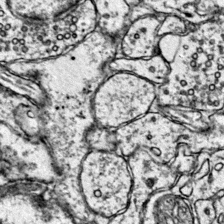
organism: Mouse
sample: Primary visual cortex